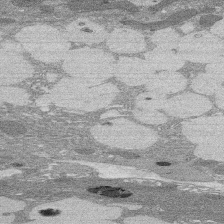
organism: Rat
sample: Salivary granule